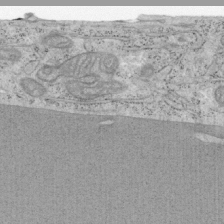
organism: Human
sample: HeLa cells